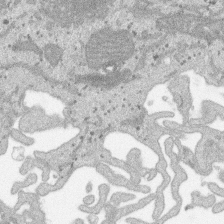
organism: Human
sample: Lung epithelial cells infected with SARS-CoV-2